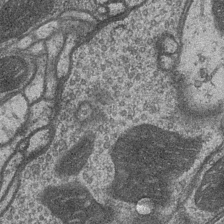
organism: Drosophila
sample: Optic medulla